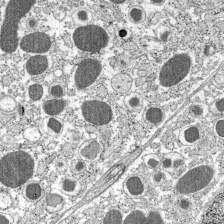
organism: C57BL Mouse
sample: Pancreatic islet